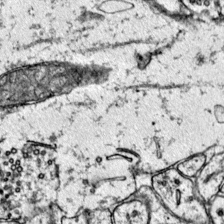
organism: Mouse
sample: Primary visual cortex